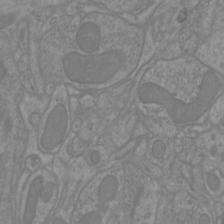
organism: Mouse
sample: Cortical neurons